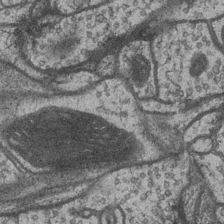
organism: Drosophila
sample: Optic medulla